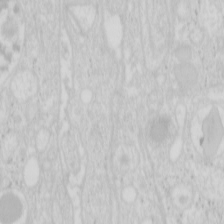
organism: Mouse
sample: Pancreas